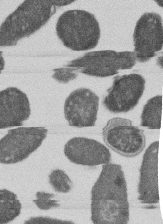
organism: E. coli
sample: Bacterial nucleoid